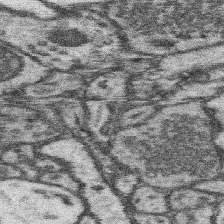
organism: Mouse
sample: Somatosensory cortex neuropil